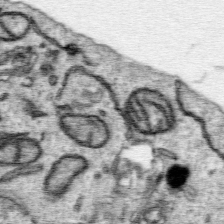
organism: Human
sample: HeLa cells